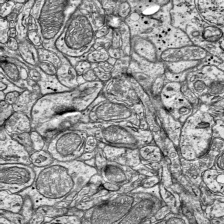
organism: Mouse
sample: Visual Cortex